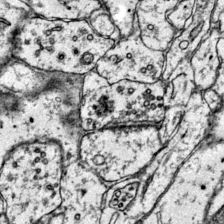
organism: Mouse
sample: Primary visual cortex